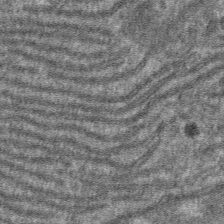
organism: Mouse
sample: Mouse hepatocytes